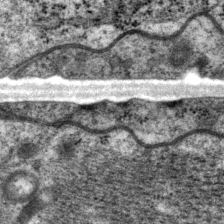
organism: P. pacificus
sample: Pharynx